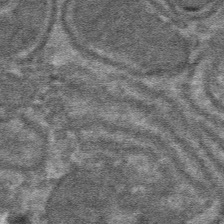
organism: Mouse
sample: Mouse hepatocytes